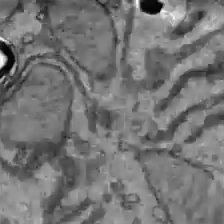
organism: C57BL Mouse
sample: Liver